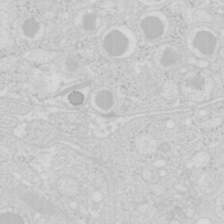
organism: Mouse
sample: Pancreas